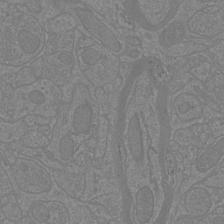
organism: Mouse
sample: Cortical neurons